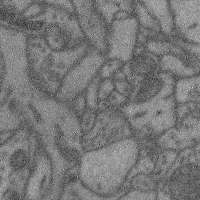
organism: Mouse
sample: Cerebral cortex